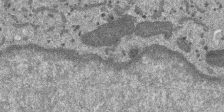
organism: Human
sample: Lung epithelial cells infected with SARS-CoV-2